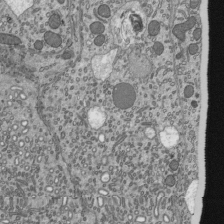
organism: Mouse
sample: Mouse epididymis efferent ductule cilia